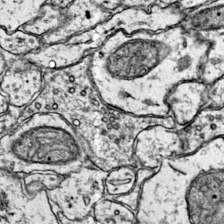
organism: Mouse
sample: Primary visual cortex